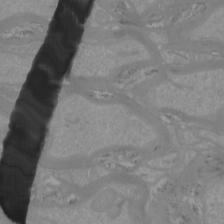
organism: Mouse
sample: Cortical neurons